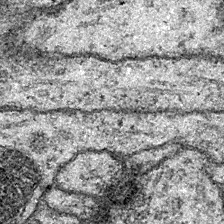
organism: Drosophila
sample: Ventral Nerve Cord